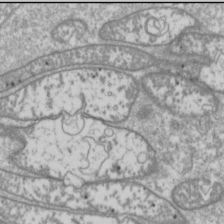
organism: Drosophila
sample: Cell division; meiosis; drosophila spermatocytes